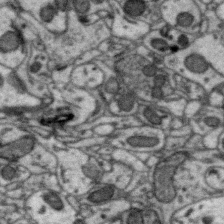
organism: Zebra finch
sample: Brain